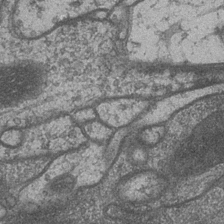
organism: Drosophila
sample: Optic medulla